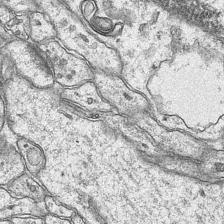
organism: Mouse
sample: CA1 Hippocampus